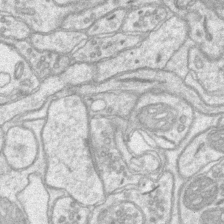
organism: Mouse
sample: CA1 Hippocampus